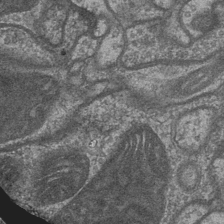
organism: Drosophila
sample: Optic medulla